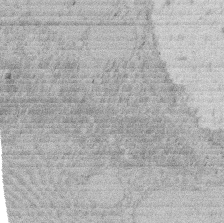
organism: Rat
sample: Salivary granule